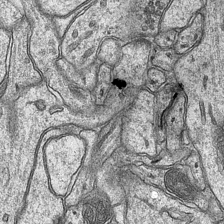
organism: Mouse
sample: CA1 Hippocampus